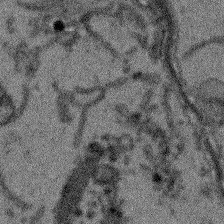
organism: Arabidopsis thaliana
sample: Root tip